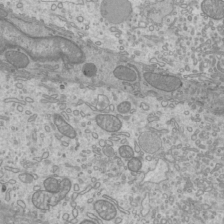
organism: Mouse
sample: Cilia; mouse epididymis